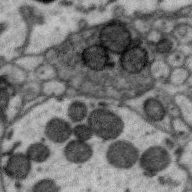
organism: Zebra finch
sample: Brain